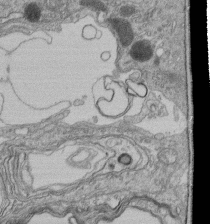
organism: Human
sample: Retinal organoid Rod and Cone cells